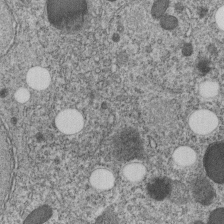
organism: C. elegans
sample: C. elegans embryo early stage